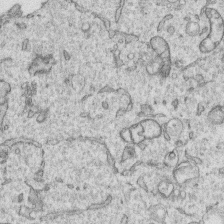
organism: Human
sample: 1205lu cells